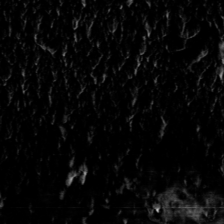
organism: Toxoplasma gondii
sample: Parasites in a vacuole inside a host cell